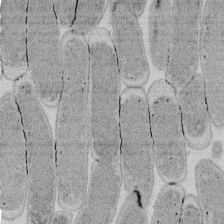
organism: E. coli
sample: Bacterial nucleoid